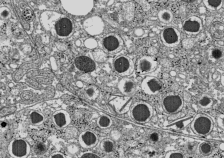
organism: C57BL Mouse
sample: Pancreatic islet